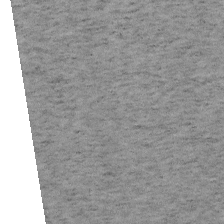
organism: Mouse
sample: OT-I killer T cells with ID8 ovarian cancer cells